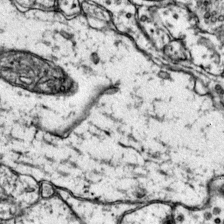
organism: Mouse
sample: Primary visual cortex